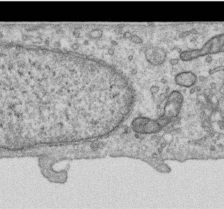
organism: Human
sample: Centriole in RPE cells